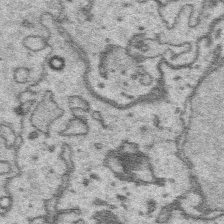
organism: Platynereis dumerilii